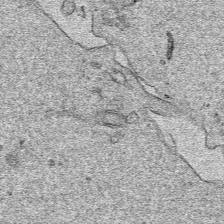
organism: Human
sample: Mitochondria in HCT116 cells